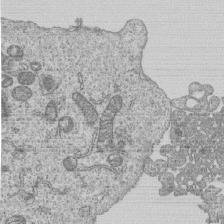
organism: Human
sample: MDA-MB-231 cells